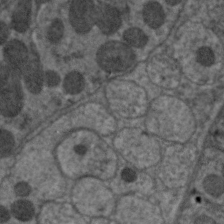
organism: C. elegans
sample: Pharynx